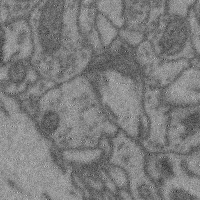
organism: Mouse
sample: Cerebral cortex